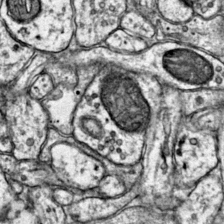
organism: Mouse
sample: Primary visual cortex